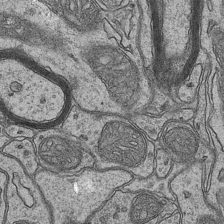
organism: Mouse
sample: CA1 Hippocampus